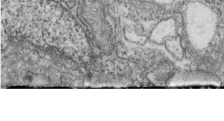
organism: Zebrafish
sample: Cilia; retinal pigment epithelium